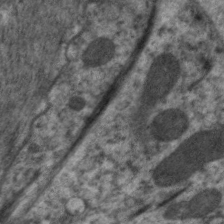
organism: C. elegans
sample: Pharynx